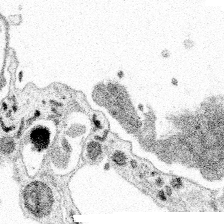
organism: Spongilla lacustris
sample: Multiple